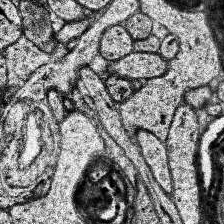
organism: Human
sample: Temporal Lobe